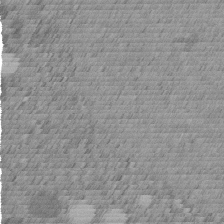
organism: C. elegans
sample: C. elegans embryo early stage